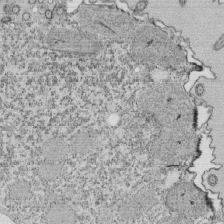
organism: Tetrahymena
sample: Cilia in tetrahymena